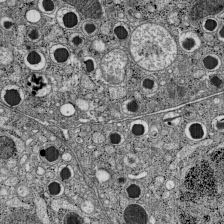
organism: C57BL Mouse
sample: Pancreatic islet